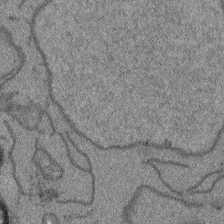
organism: Arabidopsis thaliana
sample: Root tip